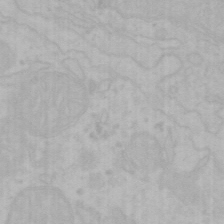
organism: Mouse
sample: Choroid plexus